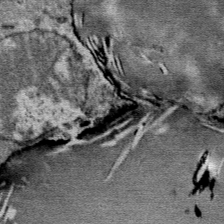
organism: Mouse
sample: Mouse Salivary gland